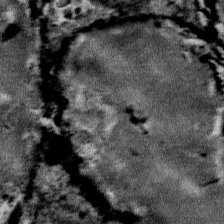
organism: Mouse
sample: Mouse Salivary gland